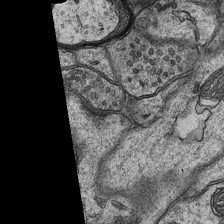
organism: Mouse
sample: CA1 Hippocampus